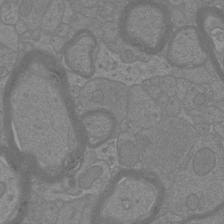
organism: Mouse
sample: Cortical neurons